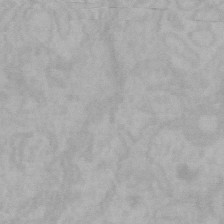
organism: Mouse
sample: Choroid plexus